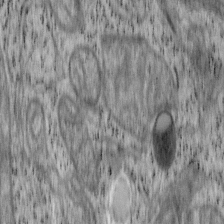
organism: Human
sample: HeLa cells